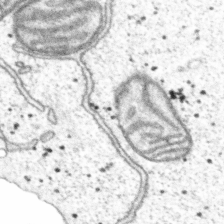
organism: Human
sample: HeLa cells